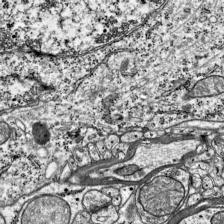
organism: Mouse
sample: Visual Cortex